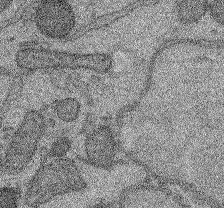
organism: Human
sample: HeLa cells